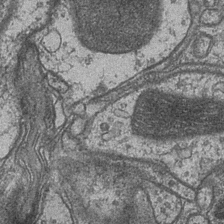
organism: Drosophila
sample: Optic medulla